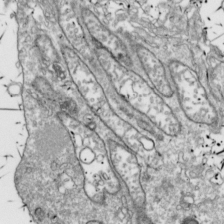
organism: Drosophila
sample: Cell division; meiosis; drosophila spermatocytes